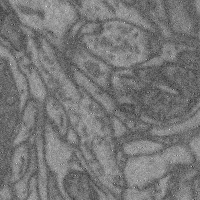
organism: Mouse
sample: Cerebral cortex